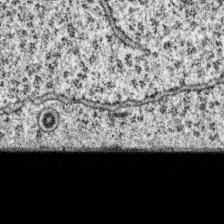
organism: Human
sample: HeLa cells